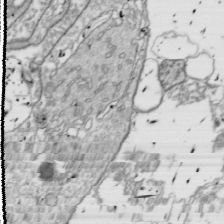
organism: Drosophila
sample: Cell division; meiosis; drosophila spermatocytes